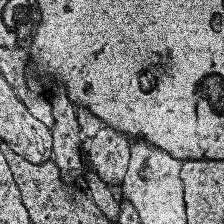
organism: Human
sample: Temporal Lobe